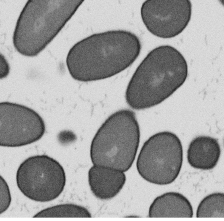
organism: B. subtilis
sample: Bacterial spore